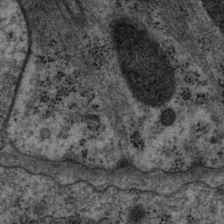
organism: P. pacificus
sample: Pharynx